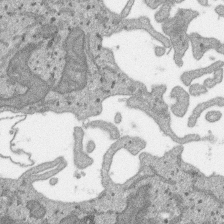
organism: Human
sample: Lung epithelial cells infected with SARS-CoV-2